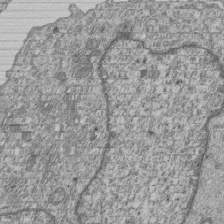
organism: Human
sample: MDA-MB-231 cells